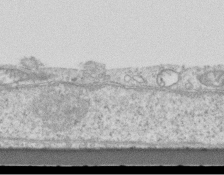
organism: Mouse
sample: Centriole in ependymal cells